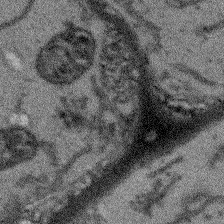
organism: Arabidopsis thaliana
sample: Root tip